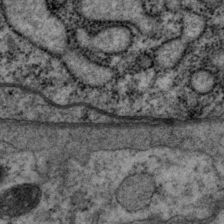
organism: P. pacificus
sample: Pharynx